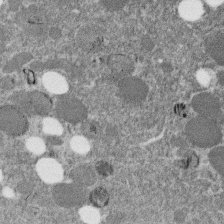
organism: C. elegans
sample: C. elegans embryo early stage